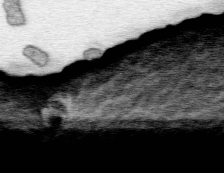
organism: Human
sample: HeLa cells